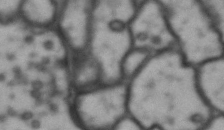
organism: Drosophila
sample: Brain